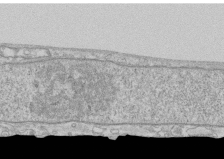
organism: Human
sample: CRL-1474